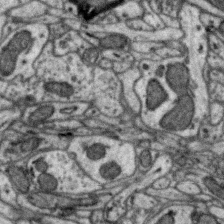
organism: Zebra finch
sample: Brain